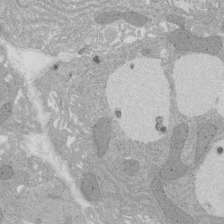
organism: Rat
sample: Salivary granule